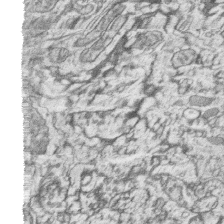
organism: Zebrafish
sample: synaptic ribbons in rod cells and cone cells